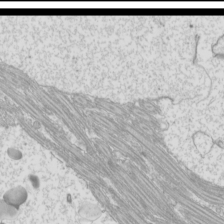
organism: Mouse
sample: Cilia; mouse epididymis